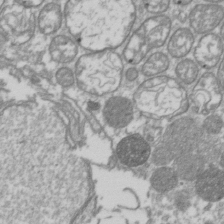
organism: Drosophila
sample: Cell division; meiosis; drosophila spermatocytes